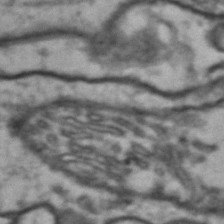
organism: Drosophila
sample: Brain